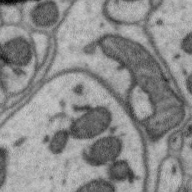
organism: Zebra finch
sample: Brain